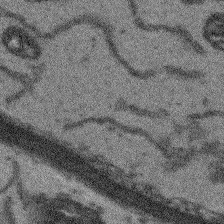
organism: Arabidopsis thaliana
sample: Root tip